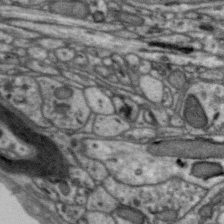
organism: Zebra finch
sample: Brain